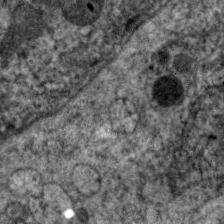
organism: C. elegans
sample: Pharynx